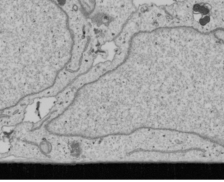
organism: Human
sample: Mitochondria in U2OS cells